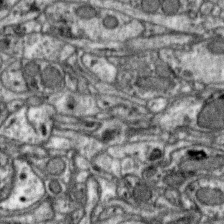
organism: Zebra finch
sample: Brain